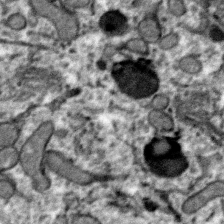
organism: Zebra finch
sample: Brain